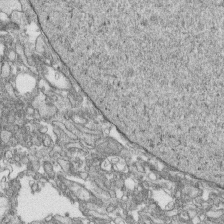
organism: Human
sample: CRL-1474